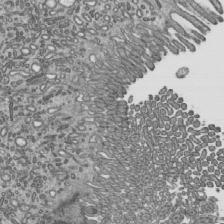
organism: Mouse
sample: Mouse epididymis efferent ductule cilia